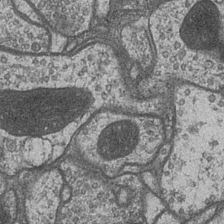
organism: Drosophila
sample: Optic medulla